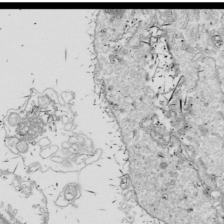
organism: Drosophila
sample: Cell division; meiosis; drosophila spermatocytes